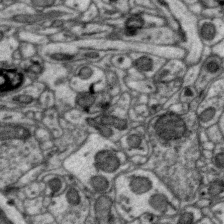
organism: Zebra finch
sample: Brain